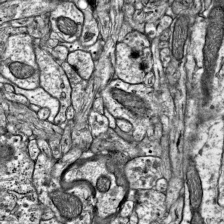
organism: Mouse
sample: Visual Cortex